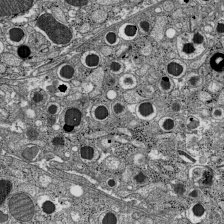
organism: C57BL Mouse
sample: Pancreatic islet